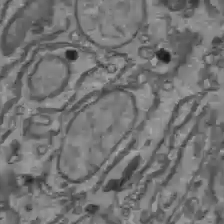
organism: C57BL Mouse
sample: Liver